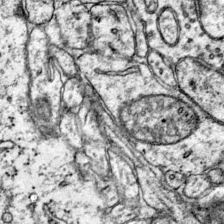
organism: Mouse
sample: Primary visual cortex